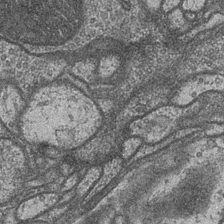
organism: Drosophila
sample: Optic medulla